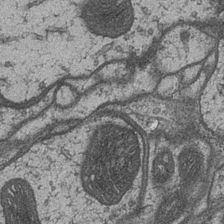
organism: Drosophila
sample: Optic medulla